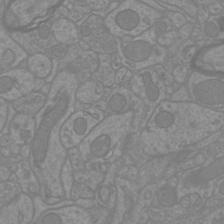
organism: Mouse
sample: Cortical neurons